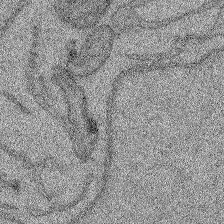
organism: Human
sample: HeLa cells